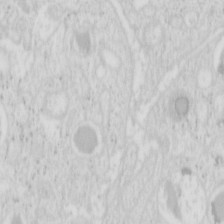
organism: Mouse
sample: Pancreas